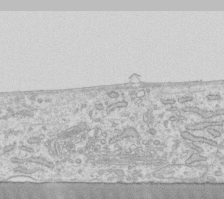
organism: Human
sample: Fibroblast cells